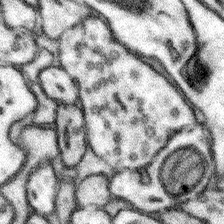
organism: Mouse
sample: Somatosensory cortex neuropil